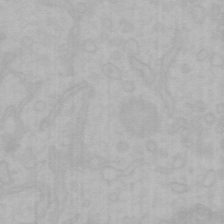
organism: Mouse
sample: Choroid plexus